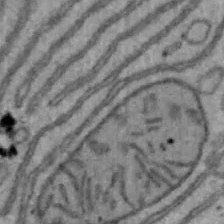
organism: Mouse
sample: Liver